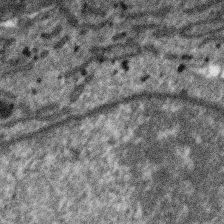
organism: Human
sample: Lung epithelial cells infected with SARS-CoV-2